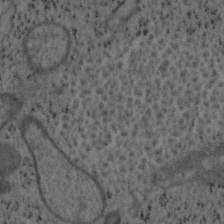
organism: Human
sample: HeLa cells